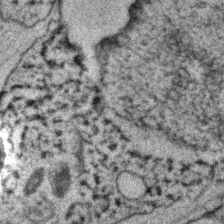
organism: C. elegans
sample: C. elegans embryo